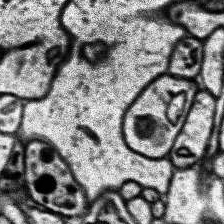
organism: Human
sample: Temporal Lobe